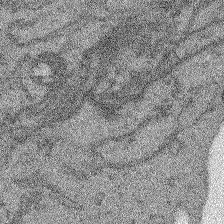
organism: Human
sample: HeLa cells